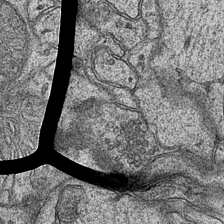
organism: Mouse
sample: CA1 Hippocampus